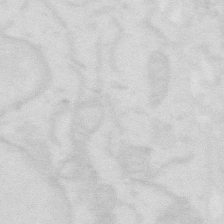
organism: Human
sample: HeLa cells